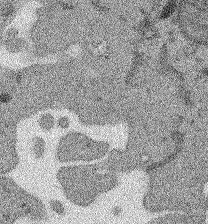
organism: Human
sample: HeLa cells